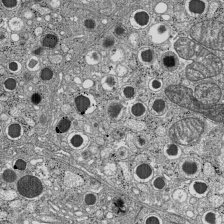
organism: C57BL Mouse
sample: Pancreatic islet